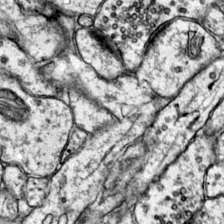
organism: Mouse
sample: Primary visual cortex